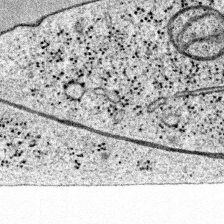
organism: Human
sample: HeLa cells